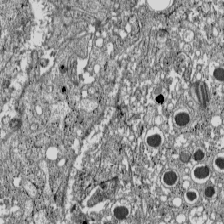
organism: C57BL Mouse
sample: Pancreatic islet